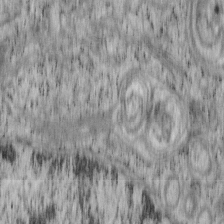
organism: Human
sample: HeLa cells